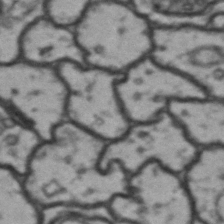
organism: Drosophila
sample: Brain